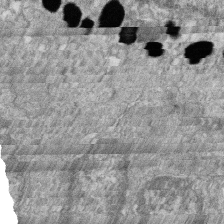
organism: Zebrafish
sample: Cilia; retinal pigment epithelium